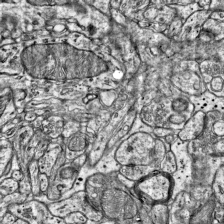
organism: Mouse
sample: Visual Cortex